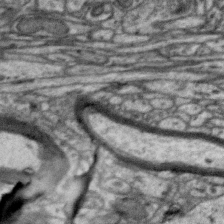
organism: Zebra finch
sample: Brain